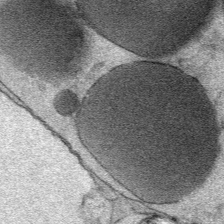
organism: Mouse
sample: Mouse Salivary gland